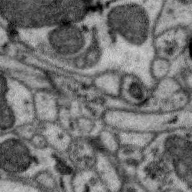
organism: Zebra finch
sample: Brain